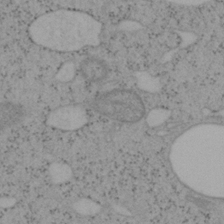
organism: Mouse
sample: OT-I killer T cells with ID8 ovarian cancer cells